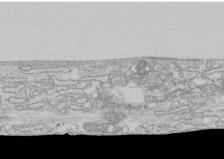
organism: Human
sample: CRL-1474